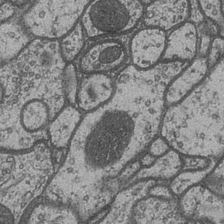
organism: Drosophila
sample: Optic medulla